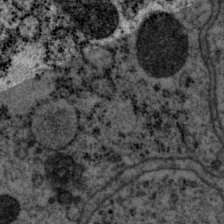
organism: P. pacificus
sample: Pharynx